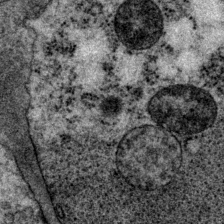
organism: P. pacificus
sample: Pharynx